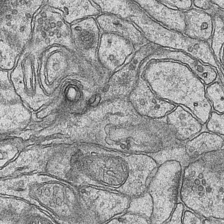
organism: Mouse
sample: CA1 Hippocampus